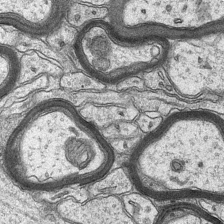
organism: Mouse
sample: CA1 Hippocampus